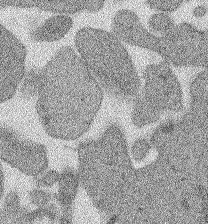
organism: Human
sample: HeLa cells